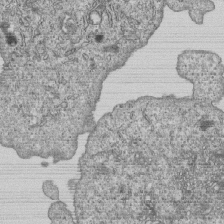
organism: Human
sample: MDA-MB-231 cells